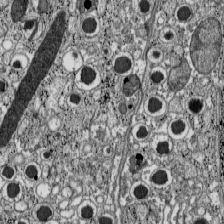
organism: C57BL Mouse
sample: Pancreatic islet